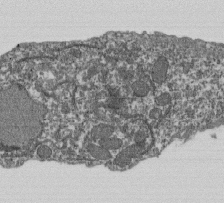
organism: Dictyostelium discoideum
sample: Dictyostelium multivesicular bodies